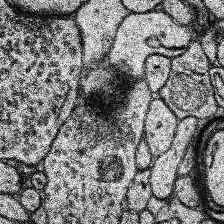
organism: Human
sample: Temporal Lobe